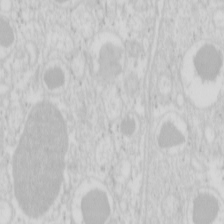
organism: Mouse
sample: Pancreas